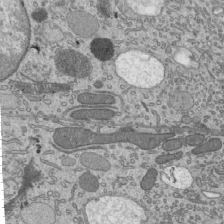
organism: Mouse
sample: Mouse epididymis efferent ductule cilia